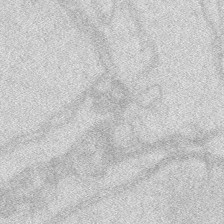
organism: Zebrafish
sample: Macrophage